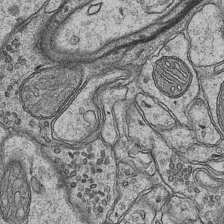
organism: Mouse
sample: CA1 Hippocampus